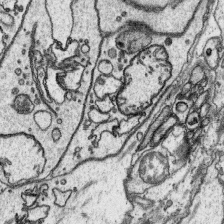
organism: Platynereis dumerilii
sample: Parapodia